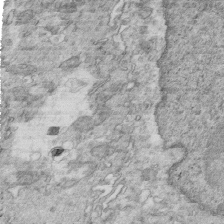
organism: Mouse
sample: Multiciliated cells